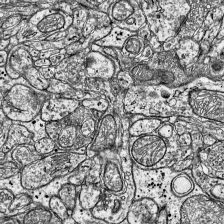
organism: Mouse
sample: Visual Cortex